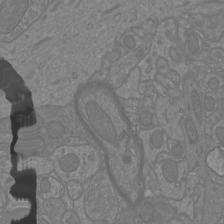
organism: Mouse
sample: Cortical neurons